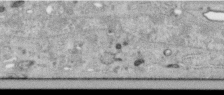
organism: Human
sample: Centriole in RPE cells